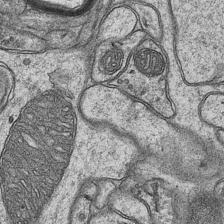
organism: Mouse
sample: CA1 Hippocampus